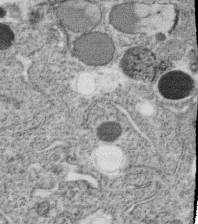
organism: C. elegans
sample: C. elegans oocyte; sperm cells